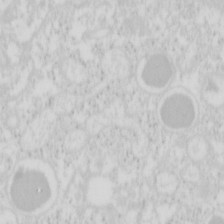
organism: Mouse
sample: Pancreas